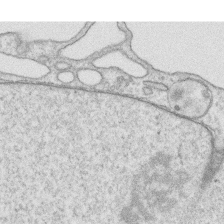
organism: Human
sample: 1205lu cells